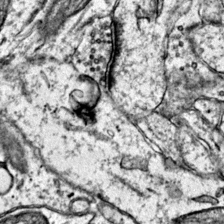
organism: Mouse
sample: Primary visual cortex